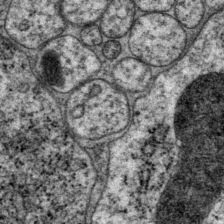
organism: P. pacificus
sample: Pharynx